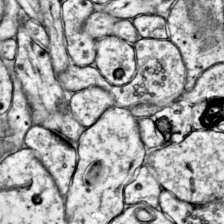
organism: Mouse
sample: Primary visual cortex